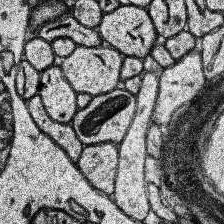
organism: Human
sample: Temporal Lobe